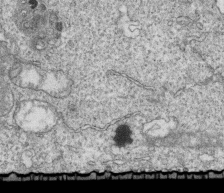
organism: Human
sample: HeLa cell HIV synapse